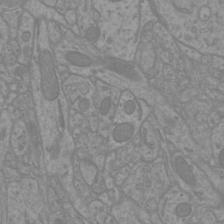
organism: Mouse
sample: Cortical neurons